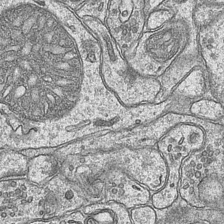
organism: Mouse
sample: CA1 Hippocampus